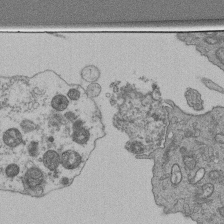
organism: Human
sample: Retinal organoid Rod and Cone cells